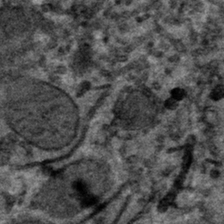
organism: Mouse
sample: Mouse hepatocytes